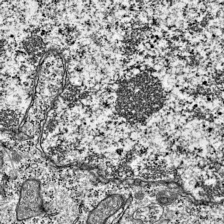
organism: Mouse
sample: Visual Cortex